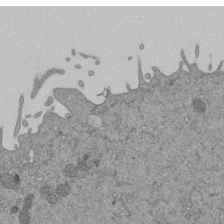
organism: Mouse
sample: ED-1 cell nuclei; centrioles